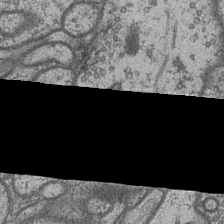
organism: Drosophila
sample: Optic medulla